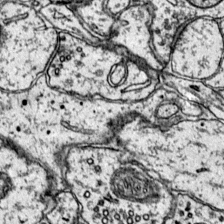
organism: Mouse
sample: Primary visual cortex